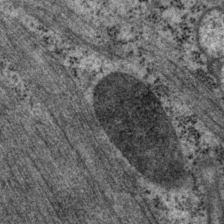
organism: P. pacificus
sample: Pharynx